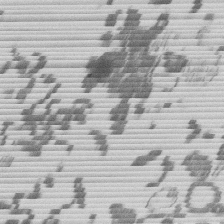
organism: Mouse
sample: Dividing mouse embryo 1 cell stage